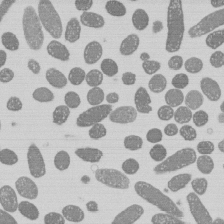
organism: E. coli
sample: Bacterial nucleoid